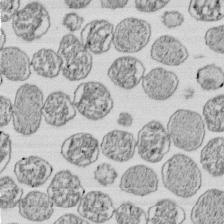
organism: E. coli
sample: Bacterial nucleoid